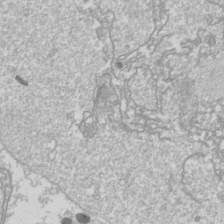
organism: Drosophila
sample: Cell division; meiosis; drosophila spermatocytes